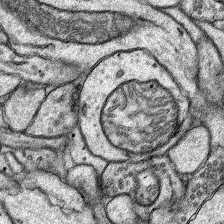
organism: Rat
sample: Hippocampus